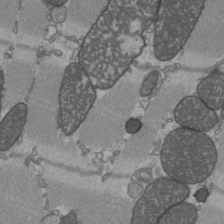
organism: C57BL Mouse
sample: Heart